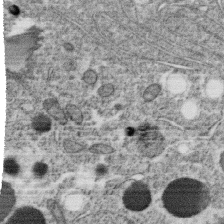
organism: C. elegans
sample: C. elegans oocyte; sperm cells